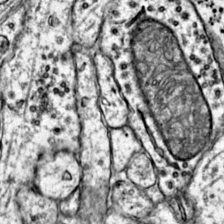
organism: Mouse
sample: Primary visual cortex